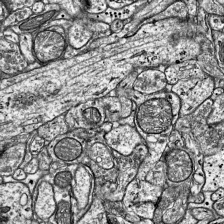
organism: Mouse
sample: Visual Cortex